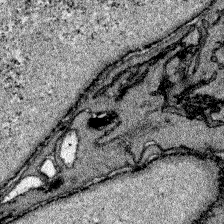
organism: Zebrafish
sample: Larval olfactory bulb